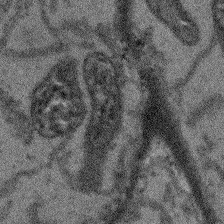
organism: Arabidopsis thaliana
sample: Root tip